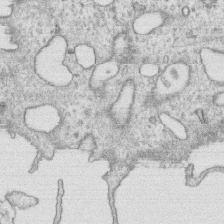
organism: Human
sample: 1205lu cells